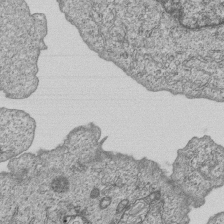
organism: Human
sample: MDA-MB-231 cells